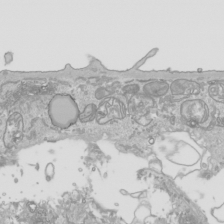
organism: Human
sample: Mitochondria in HCT116 cells